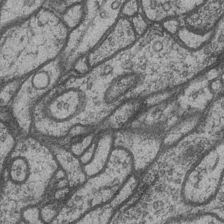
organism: Drosophila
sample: Optic medulla